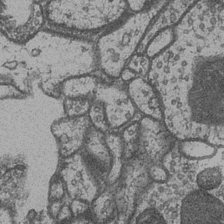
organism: Drosophila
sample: Optic medulla